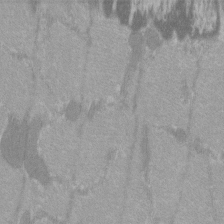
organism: C57BL Mouse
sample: Tibialis anterior muscle cell